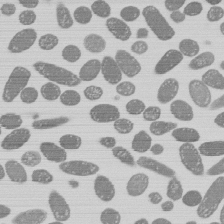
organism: E. coli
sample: Bacterial nucleoid